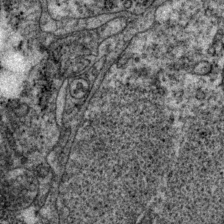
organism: P. pacificus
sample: Pharynx